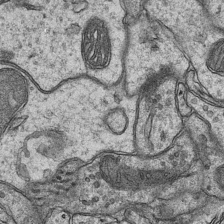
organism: Mouse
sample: CA1 Hippocampus